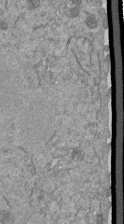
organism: Mouse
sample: ED-1 cell nuclei; centrioles